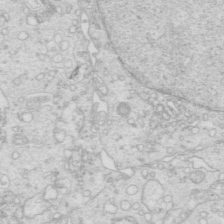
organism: Mouse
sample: Multiciliated cells